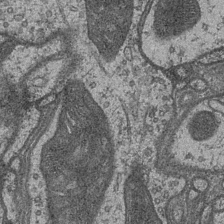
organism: Drosophila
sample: Optic medulla